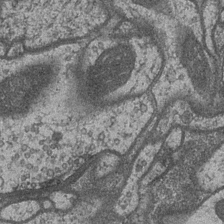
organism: Drosophila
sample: Optic medulla